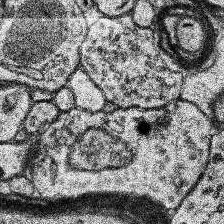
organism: Human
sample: Temporal Lobe